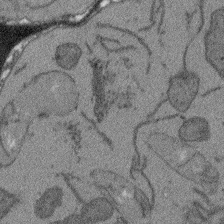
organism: Arabidopsis thaliana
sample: Root tip